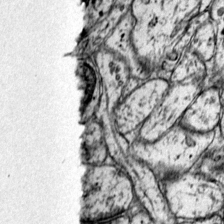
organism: Mouse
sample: Primary visual cortex